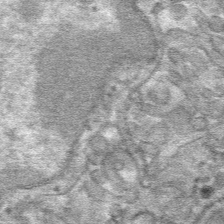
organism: Mouse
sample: Mouse hepatocytes